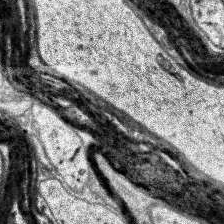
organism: Human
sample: Temporal Lobe